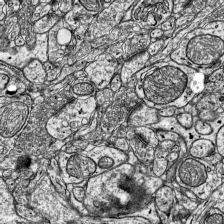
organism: Mouse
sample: Visual Cortex